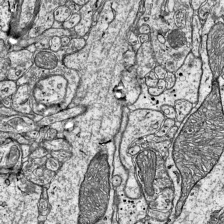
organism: Mouse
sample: Visual Cortex